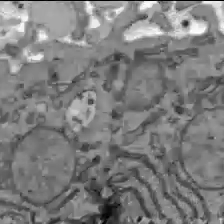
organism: C57BL Mouse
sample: Liver